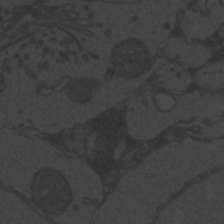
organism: Zebrafish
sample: Macrophage infected with Toxoplasma gondii